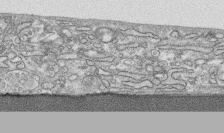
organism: Human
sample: CRL-1474